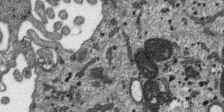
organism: Human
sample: Lung epithelial cells infected with SARS-CoV-2